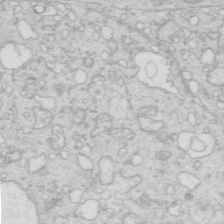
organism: Mouse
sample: Multiciliated cells